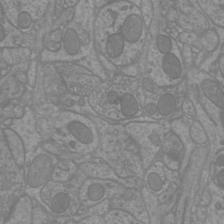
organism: Mouse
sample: Cortical neurons